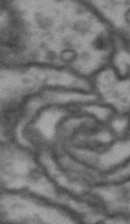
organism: Drosophila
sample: Brain